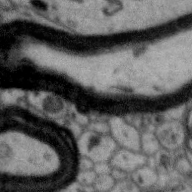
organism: Zebra finch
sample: Brain